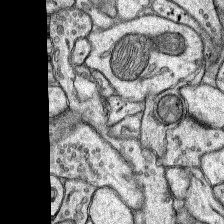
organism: Rat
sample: Hippocampus